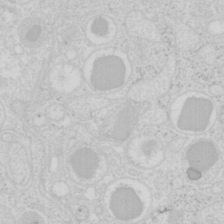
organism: Mouse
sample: Pancreas